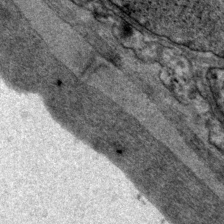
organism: P. pacificus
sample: Pharynx